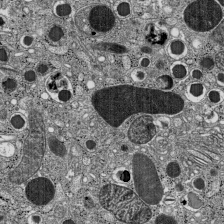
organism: C57BL Mouse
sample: Pancreatic islet